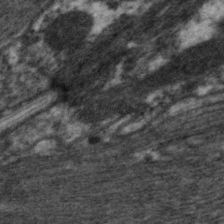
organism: C. elegans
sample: Pharynx